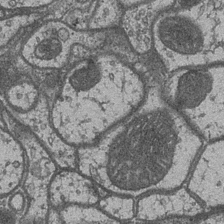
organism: Drosophila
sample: Optic medulla